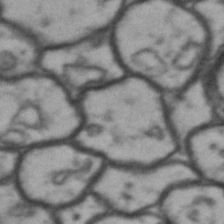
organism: Drosophila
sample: Brain